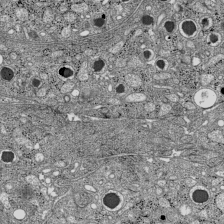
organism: C57BL Mouse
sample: Pancreatic islet